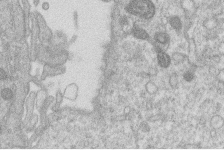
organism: Human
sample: Macrophage cells